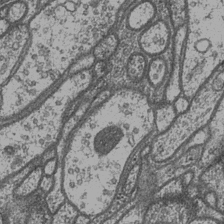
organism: Drosophila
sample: Optic medulla